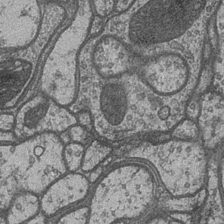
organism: Drosophila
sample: Optic medulla